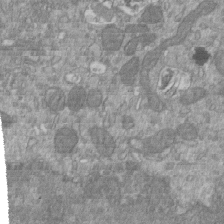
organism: Mouse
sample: ED-1 cell nuclei; centrioles